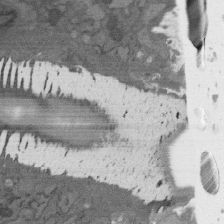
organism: C. elegans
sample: AFD neurons C. elegans